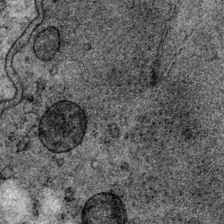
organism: P. pacificus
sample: Pharynx